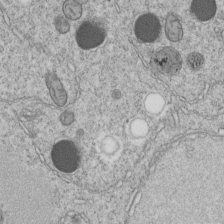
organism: C. elegans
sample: C. elegans embryo early stage